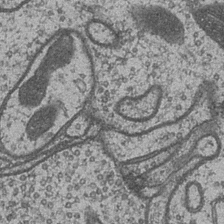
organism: Drosophila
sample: Optic medulla